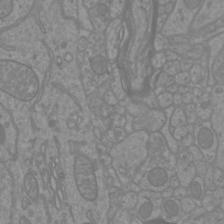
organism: Mouse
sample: Cortical neurons